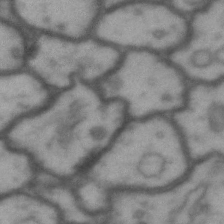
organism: Drosophila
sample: Brain